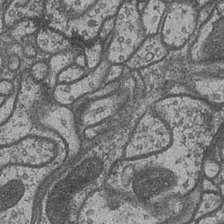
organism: Drosophila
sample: Optic medulla